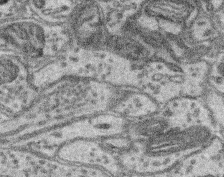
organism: Mouse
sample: Retina